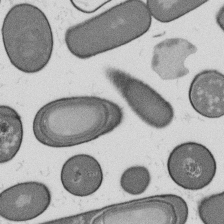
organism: B. subtilis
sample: Bacterial spore